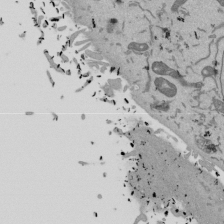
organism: Mouse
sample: ED-1 cell nuclei; centrioles